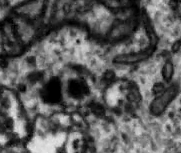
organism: Human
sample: HeLa cells